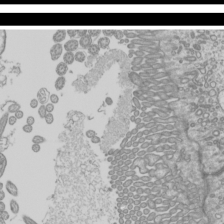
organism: Mouse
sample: Cilia; mouse epididymis